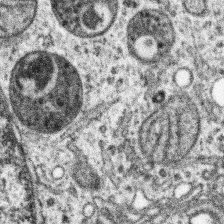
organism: Human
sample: HeLa cells